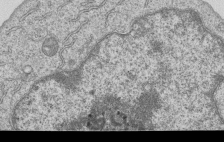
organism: Human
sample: MDA-MB-231 cells